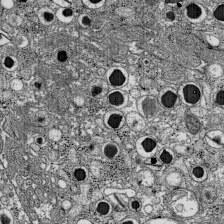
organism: C57BL Mouse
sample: Pancreatic islet